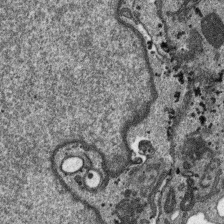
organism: Human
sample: Lung epithelial cells infected with SARS-CoV-2